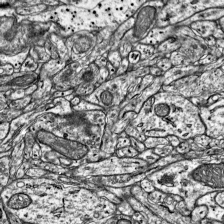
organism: Mouse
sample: Visual Cortex